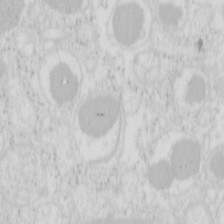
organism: Mouse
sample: Pancreas